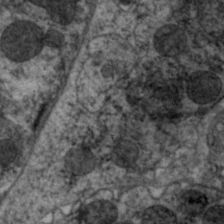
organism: C. elegans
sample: Pharynx